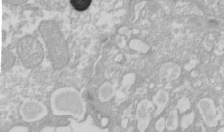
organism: Xenopus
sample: Cilia; centrioles in frog embryo cells